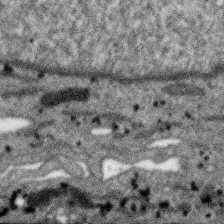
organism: Human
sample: Lung epithelial cells infected with SARS-CoV-2